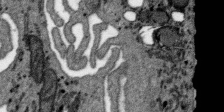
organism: Human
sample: Lung epithelial cells, uninfected (mock) control